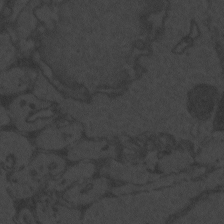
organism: Zebrafish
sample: Macrophage infected with Toxoplasma gondii